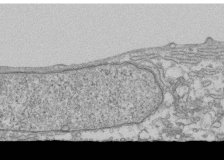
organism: Human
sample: Fibroblast cells